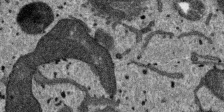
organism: Human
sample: Lung epithelial cells, uninfected (mock) control